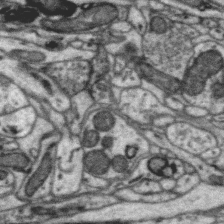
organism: Zebra finch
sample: Brain